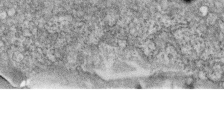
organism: Zebrafish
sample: Cilia; retinal pigment epithelium